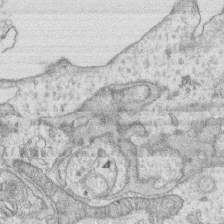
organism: Human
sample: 1205lu cells